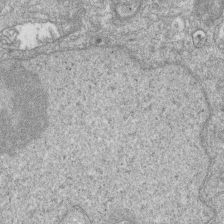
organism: Human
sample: HeLa cell HIV synapse